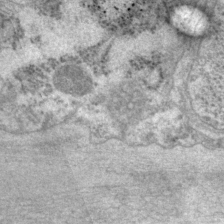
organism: P. pacificus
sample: Pharynx